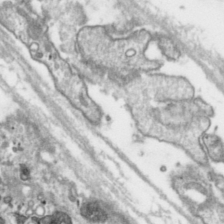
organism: Toxoplasma gondii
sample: Parasites in a vacuole inside a host cell